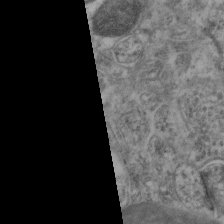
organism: Mouse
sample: Neocortex